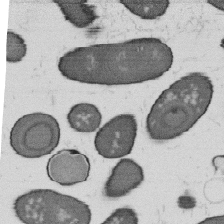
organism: B. subtilis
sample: Bacterial spore